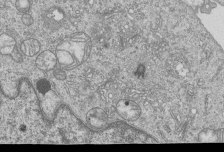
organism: Human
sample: MDA-MB-231 cells